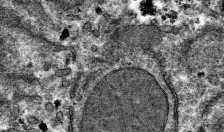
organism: Mouse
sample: Mouse hepatocytes